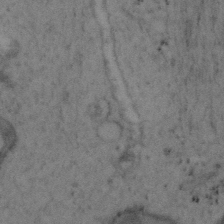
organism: Human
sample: HeLa cells